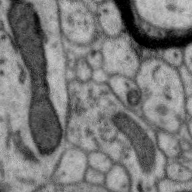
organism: Zebra finch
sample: Brain